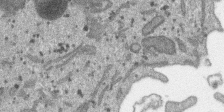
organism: Human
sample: Lung epithelial cells infected with SARS-CoV-2